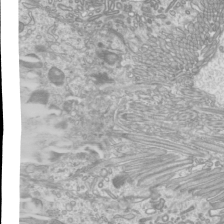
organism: Mouse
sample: Cilia; mouse epididymis